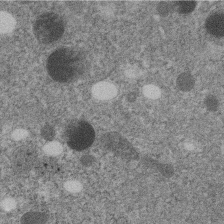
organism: C. elegans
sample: C. elegans embryo early stage